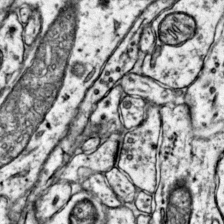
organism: Mouse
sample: Primary visual cortex